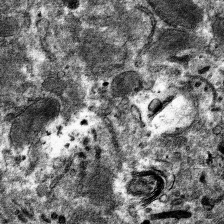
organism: Mouse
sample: Mouse hepatocytes